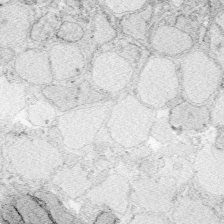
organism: Zebrafish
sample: Whole-Brain